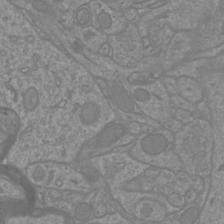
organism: Mouse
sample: Cortical neurons